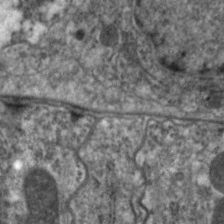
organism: C. elegans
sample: Pharynx